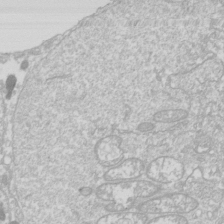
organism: Drosophila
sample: Cell division; meiosis; drosophila spermatocytes